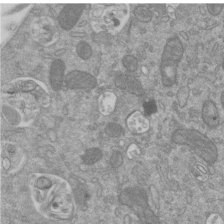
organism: Mouse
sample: ED-1 cell nuclei; centrioles